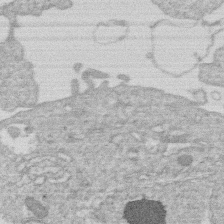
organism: Human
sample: Macrophage cells